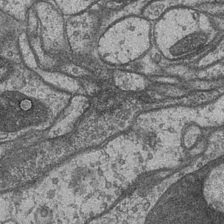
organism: Drosophila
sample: Optic medulla